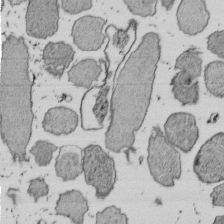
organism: E. coli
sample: Bacterial nucleoid